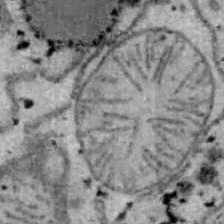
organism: Mouse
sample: Liver from an obese (ob/ob) mouse